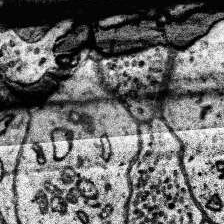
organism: Human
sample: Temporal Lobe